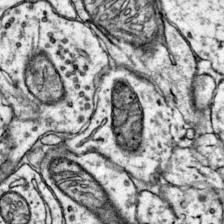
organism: Mouse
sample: Primary visual cortex